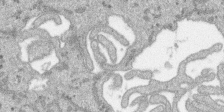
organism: Human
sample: Lung epithelial cells infected with SARS-CoV-2